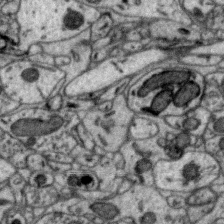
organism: Zebra finch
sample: Brain